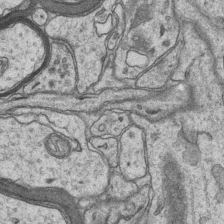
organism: Mouse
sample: CA1 Hippocampus